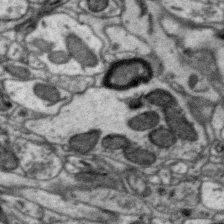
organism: Zebra finch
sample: Brain